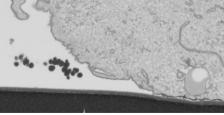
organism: Human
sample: Mitochondria in HCT116 cells